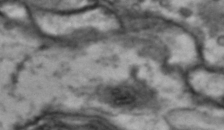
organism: Drosophila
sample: Brain